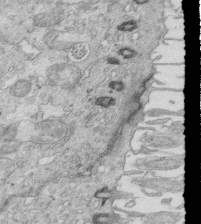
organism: Mouse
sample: Multiciliated cells